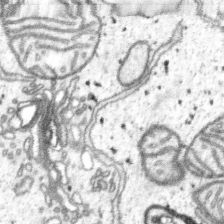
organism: Human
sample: HeLa cells